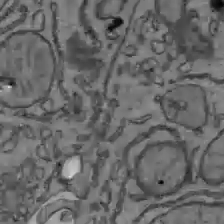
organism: C57BL Mouse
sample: Liver